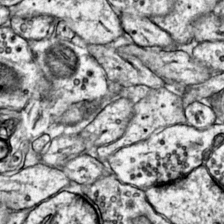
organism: Mouse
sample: Primary visual cortex